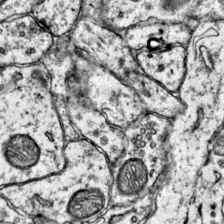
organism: Mouse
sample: Primary visual cortex